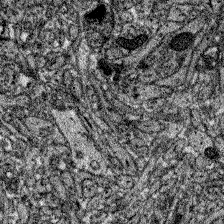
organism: Zebrafish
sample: Larval olfactory bulb